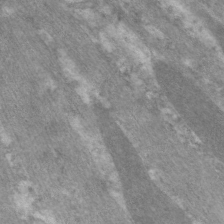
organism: C. elegans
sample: Pharynx